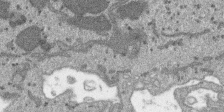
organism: Human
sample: Lung epithelial cells infected with SARS-CoV-2